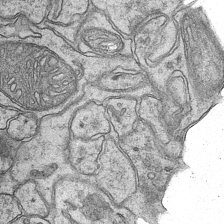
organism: Mouse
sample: CA1 Hippocampus